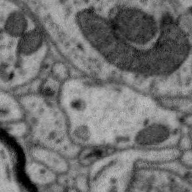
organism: Zebra finch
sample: Brain